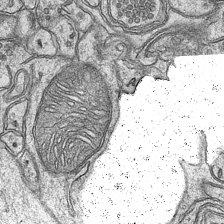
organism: Mouse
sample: CA1 Hippocampus